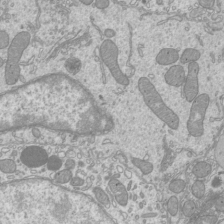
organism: Mouse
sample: Cilia; mouse epididymis